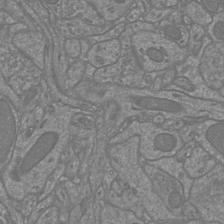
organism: Mouse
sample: Cortical neurons